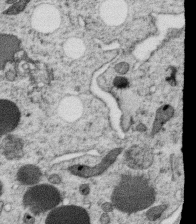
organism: C. elegans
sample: C. elegans oocyte; sperm cells